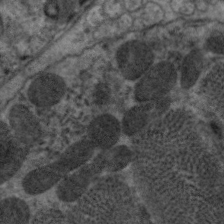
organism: C. elegans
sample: Pharynx